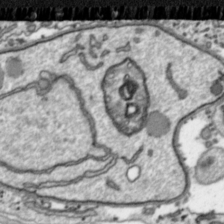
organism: Toxoplasma gondii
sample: Parasites in a vacuole inside a host cell